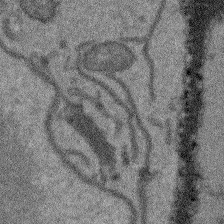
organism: Arabidopsis thaliana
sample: Root tip